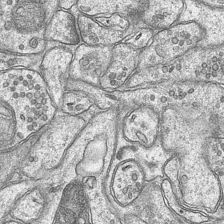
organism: Mouse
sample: CA1 Hippocampus